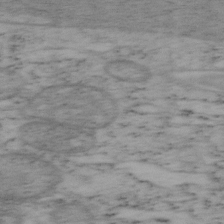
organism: Mouse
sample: OT-I killer T cells with ID8 ovarian cancer cells